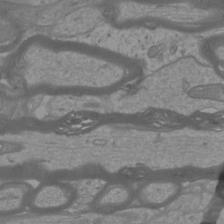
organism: Mouse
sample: Cortical neurons